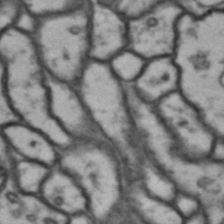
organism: Drosophila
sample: Brain